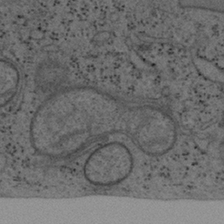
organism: Human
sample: HeLa cells